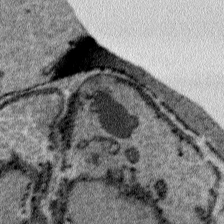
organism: Plasmodium falciparum